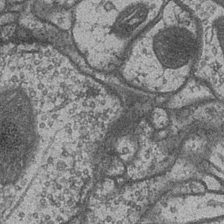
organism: Drosophila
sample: Optic medulla